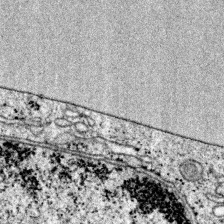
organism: Human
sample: HeLa cells